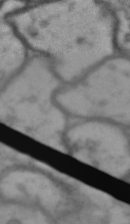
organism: Drosophila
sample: Brain